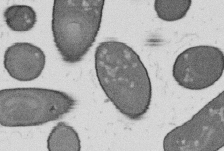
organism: B. subtilis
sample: Bacterial spore